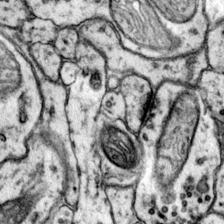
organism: Mouse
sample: Primary visual cortex